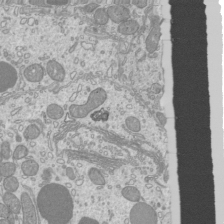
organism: Mouse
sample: Cilia; mouse epididymis